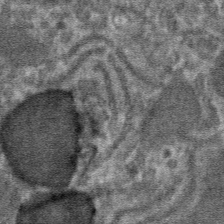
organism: Mouse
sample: Mouse hepatocytes